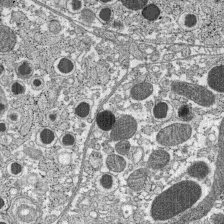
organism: C57BL Mouse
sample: Pancreatic islet